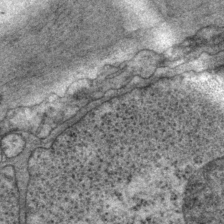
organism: P. pacificus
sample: Pharynx